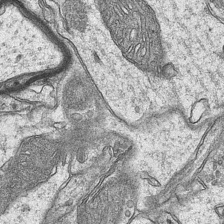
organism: Mouse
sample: CA1 Hippocampus